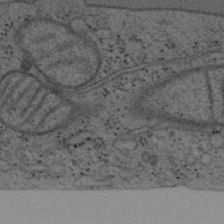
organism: Human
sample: HeLa cells